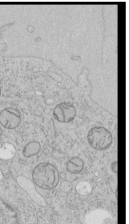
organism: Human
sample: Mitochondria in HCT116 cells